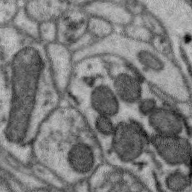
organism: Zebra finch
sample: Brain